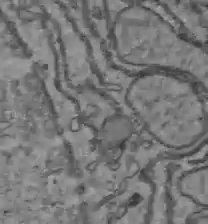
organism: C57BL Mouse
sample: Liver